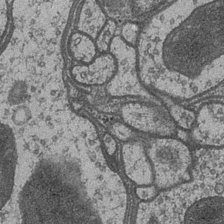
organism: Drosophila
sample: Optic medulla